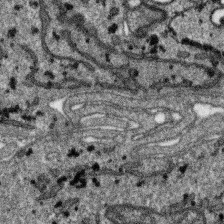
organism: Human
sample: Lung epithelial cells infected with SARS-CoV-2